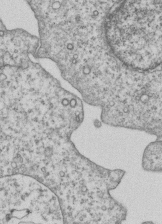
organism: Human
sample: MDA-MB-231 cells